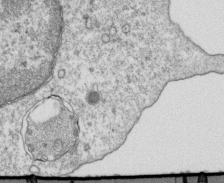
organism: Mouse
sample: Activated OT-1 CD8+ T cells